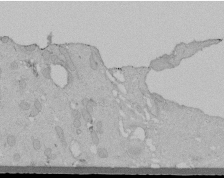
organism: Human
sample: Melanocyte Keratinocyte synapse skin construct